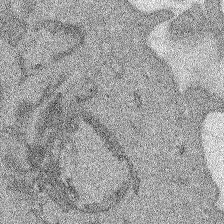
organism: Human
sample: HeLa cells